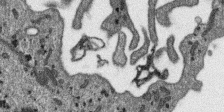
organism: Human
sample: Lung epithelial cells infected with SARS-CoV-2